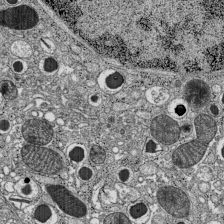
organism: C57BL Mouse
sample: Pancreatic islet